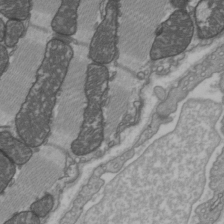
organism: C57BL Mouse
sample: Heart